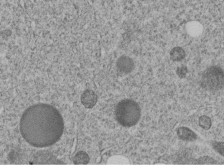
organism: C. elegans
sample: C. elegans embryo early stage